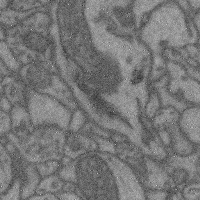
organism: Mouse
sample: Cerebral cortex